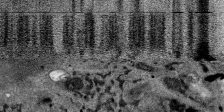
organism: Human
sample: Lung epithelial cells, uninfected (mock) control